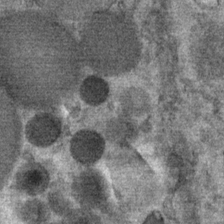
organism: Mouse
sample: Mouse Salivary gland